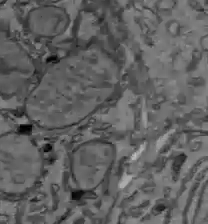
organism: C57BL Mouse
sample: Liver